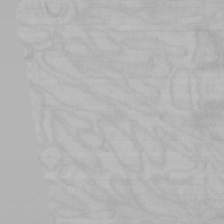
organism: Mouse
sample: Choroid plexus